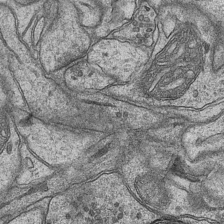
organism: Mouse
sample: CA1 Hippocampus